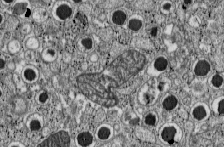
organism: C57BL Mouse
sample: Pancreatic islet